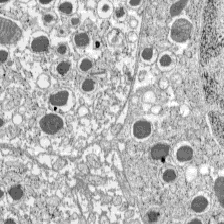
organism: C57BL Mouse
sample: Pancreatic islet